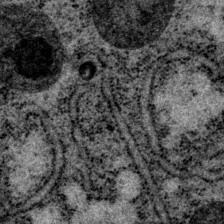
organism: P. pacificus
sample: Pharynx